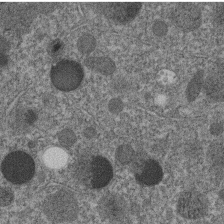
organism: C. elegans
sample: C. elegans embryo early stage